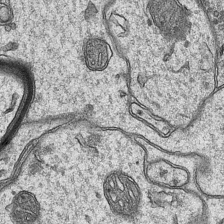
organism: Mouse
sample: CA1 Hippocampus